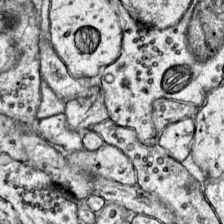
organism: Mouse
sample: Primary visual cortex